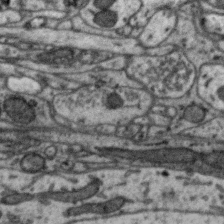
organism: Zebra finch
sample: Brain